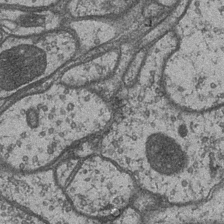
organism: Drosophila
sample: Optic medulla